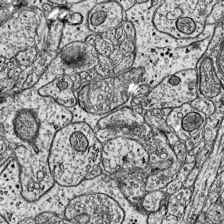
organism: Mouse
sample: Visual Cortex